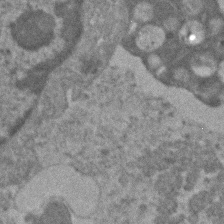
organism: Human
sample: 1205lu cells